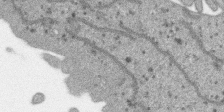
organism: Human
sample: Lung epithelial cells infected with SARS-CoV-2